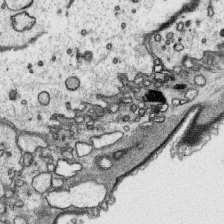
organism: Platynereis dumerilii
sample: Parapodia